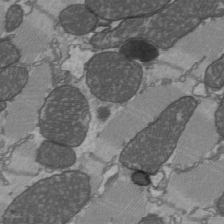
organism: C57BL Mouse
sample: Heart